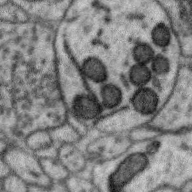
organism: Zebra finch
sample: Brain